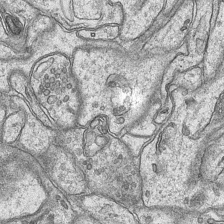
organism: Mouse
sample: CA1 Hippocampus